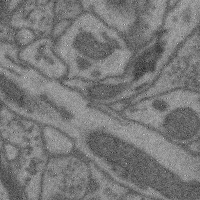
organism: Mouse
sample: Cerebral cortex